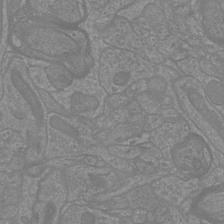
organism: Mouse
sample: Cortical neurons